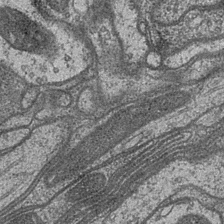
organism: Drosophila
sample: Optic medulla